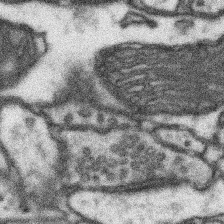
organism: Mouse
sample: Somatosensory cortex neuropil